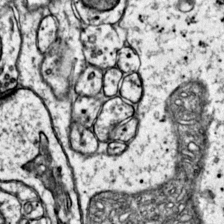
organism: Mouse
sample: Primary visual cortex